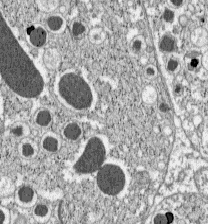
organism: C57BL Mouse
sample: Pancreatic islet